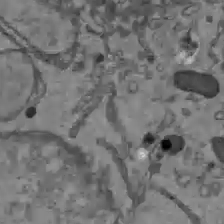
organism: C57BL Mouse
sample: Liver